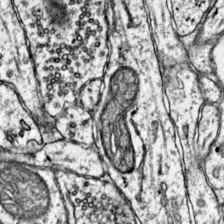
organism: Mouse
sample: Primary visual cortex